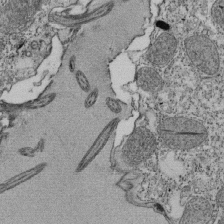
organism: Tetrahymena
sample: Cilia in tetrahymena